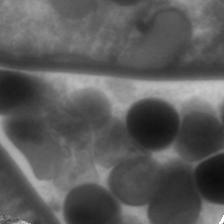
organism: C. elegans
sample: Pharynx